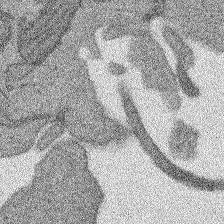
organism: Human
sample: HeLa cells